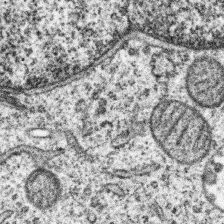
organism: Human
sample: HeLa cells